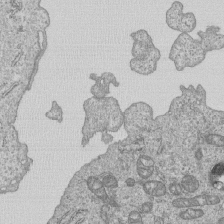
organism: Human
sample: MDA-MB-231 cells